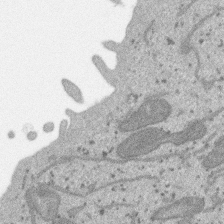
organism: Human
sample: Lung epithelial cells infected with SARS-CoV-2